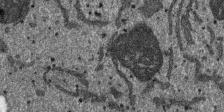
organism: Human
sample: Lung epithelial cells infected with SARS-CoV-2